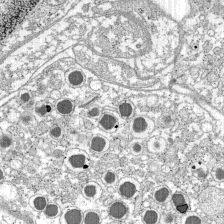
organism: C57BL Mouse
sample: Pancreatic islet